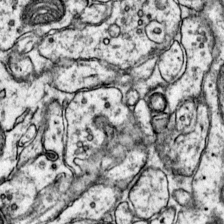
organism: Mouse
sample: Primary visual cortex